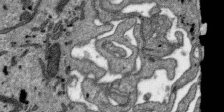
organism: Human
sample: Lung epithelial cells, uninfected (mock) control